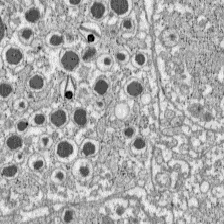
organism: C57BL Mouse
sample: Pancreatic islet